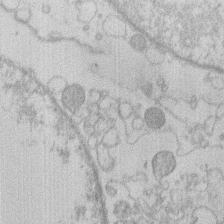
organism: Human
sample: Macrophage cells